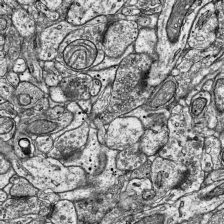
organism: Mouse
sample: Visual Cortex